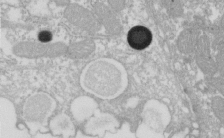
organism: Xenopus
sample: Cilia; centrioles in frog embryo cells